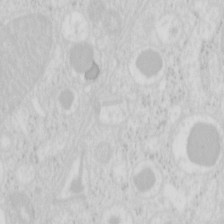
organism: Mouse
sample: Pancreas